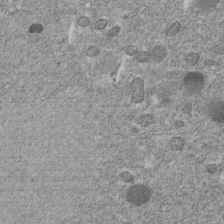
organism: C. elegans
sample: C. elegans embryo early stage